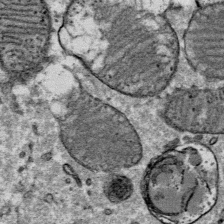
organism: Mouse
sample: Mouse Salivary gland